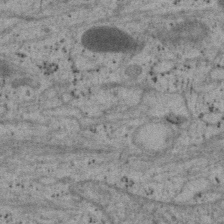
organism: Human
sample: HeLa cells